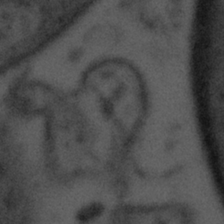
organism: Tuwongella immobilis